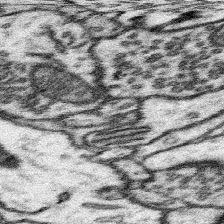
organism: Mouse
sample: Somatosensory cortex neuropil